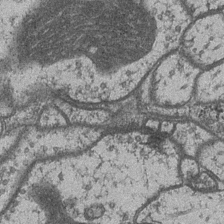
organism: Drosophila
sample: Optic medulla